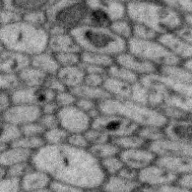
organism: Zebra finch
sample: Brain